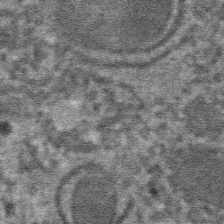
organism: Mouse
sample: Mouse hepatocytes